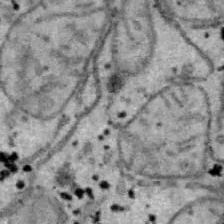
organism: Mouse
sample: Liver from an obese (ob/ob) mouse